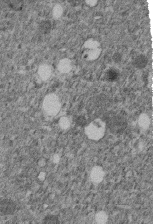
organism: C. elegans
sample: C. elegans embryo early stage